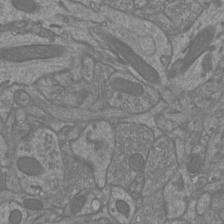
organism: Mouse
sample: Cortical neurons